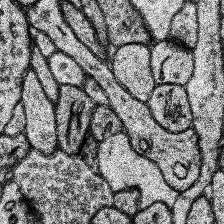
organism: Human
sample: Temporal Lobe